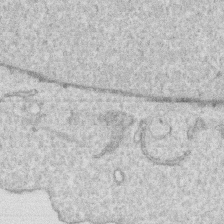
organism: Human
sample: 1205lu cells